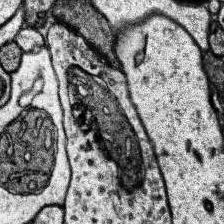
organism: Human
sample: Temporal Lobe